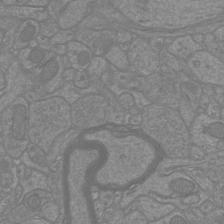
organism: Mouse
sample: Cortical neurons